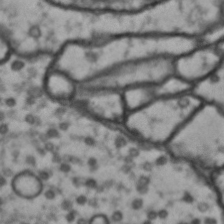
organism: Drosophila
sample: Brain